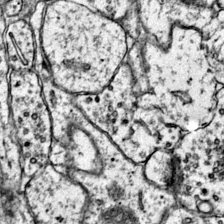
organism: Mouse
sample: Primary visual cortex